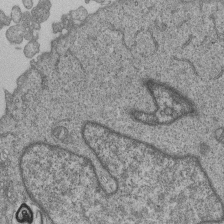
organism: Human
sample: MDA-MB-231 cells